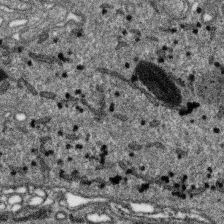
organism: Human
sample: Lung epithelial cells infected with SARS-CoV-2